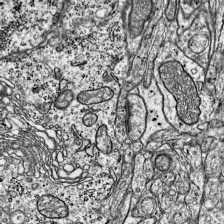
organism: Mouse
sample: Visual Cortex